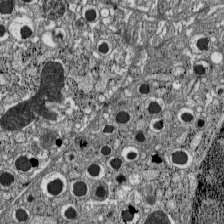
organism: C57BL Mouse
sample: Pancreatic islet